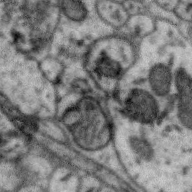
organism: Zebra finch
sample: Brain